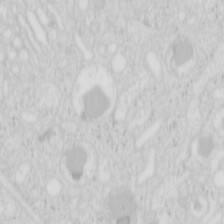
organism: Mouse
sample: Pancreas